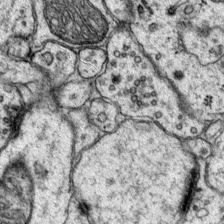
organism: Mouse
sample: Primary visual cortex